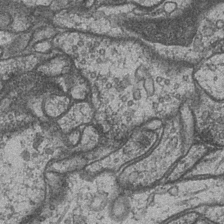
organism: Drosophila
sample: Optic medulla